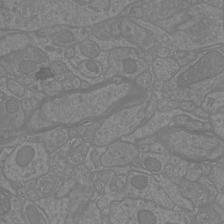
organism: Mouse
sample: Cortical neurons